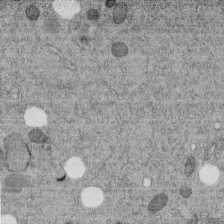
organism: C. elegans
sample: C. elegans embryo early stage